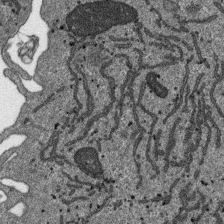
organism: Human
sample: Lung epithelial cells infected with SARS-CoV-2